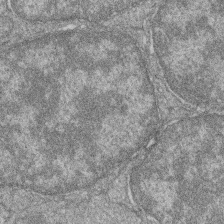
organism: Zebrafish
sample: Cilia; retinal pigment epithelium